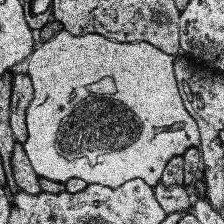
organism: Human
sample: Temporal Lobe